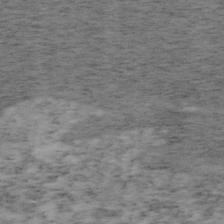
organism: Mouse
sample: OT-I killer T cells with ID8 ovarian cancer cells